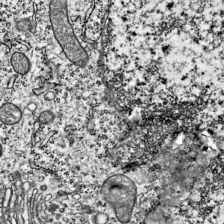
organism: Mouse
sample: Visual Cortex